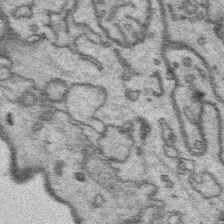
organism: Platynereis dumerilii